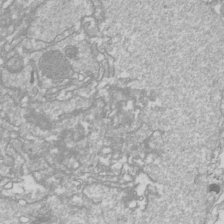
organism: Drosophila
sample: Cell division; meiosis; drosophila spermatocytes